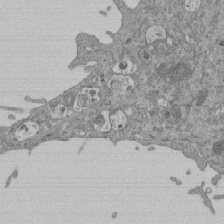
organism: Mouse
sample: ED-1 cell nuclei; centrioles